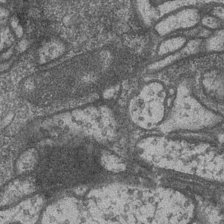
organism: Drosophila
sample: Optic medulla